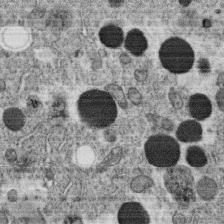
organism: C. elegans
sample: C. elegans oocyte; sperm cells